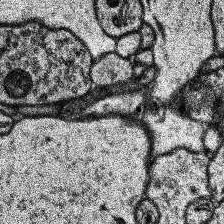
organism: Human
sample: Temporal Lobe